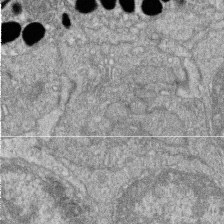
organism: Zebrafish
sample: Cilia; retinal pigment epithelium